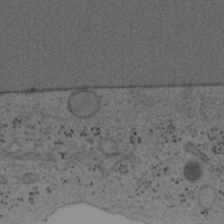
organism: Human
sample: HeLa cells